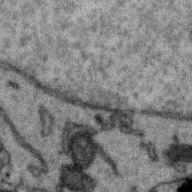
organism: Zebra finch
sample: Brain